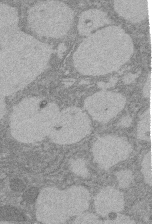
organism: Rat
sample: Salivary granule